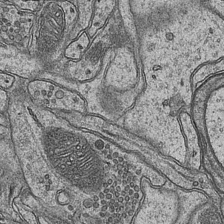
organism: Mouse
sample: CA1 Hippocampus